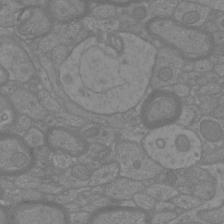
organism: Mouse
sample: Cortical neurons